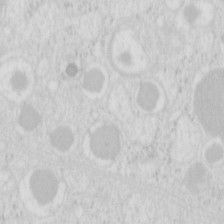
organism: Mouse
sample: Pancreas